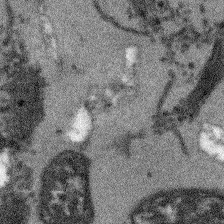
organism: Arabidopsis thaliana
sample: Root tip